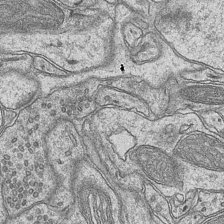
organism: Mouse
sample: CA1 Hippocampus